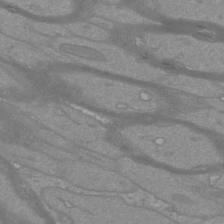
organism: Mouse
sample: Cortical neurons